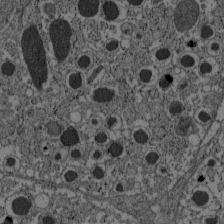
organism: C57BL Mouse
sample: Pancreatic islet